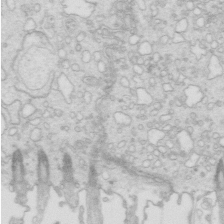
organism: Mouse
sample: Multiciliated cells